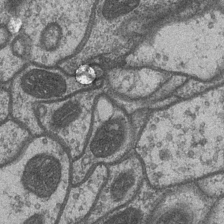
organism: Drosophila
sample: Optic medulla